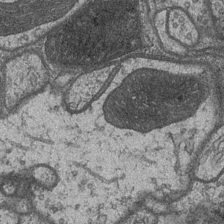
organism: Drosophila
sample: Optic medulla